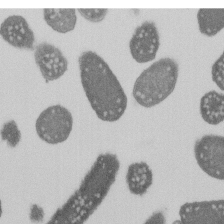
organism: E. coli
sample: Bacterial nucleoid